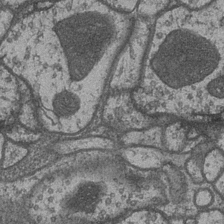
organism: Drosophila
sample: Optic medulla